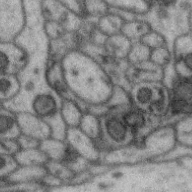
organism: Zebra finch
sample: Brain